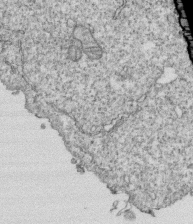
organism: Human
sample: HeLa cell HIV synapse